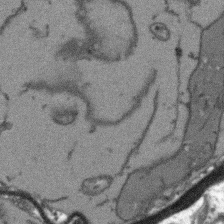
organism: Arabidopsis thaliana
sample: Root tip